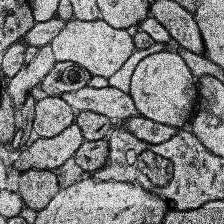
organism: Human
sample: Temporal Lobe